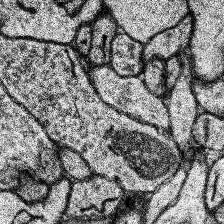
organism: Human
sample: Temporal Lobe